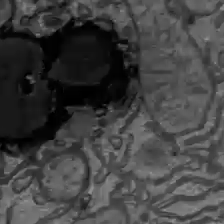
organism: C57BL Mouse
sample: Liver